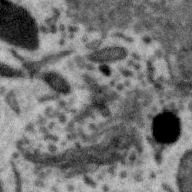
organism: Zebra finch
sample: Brain